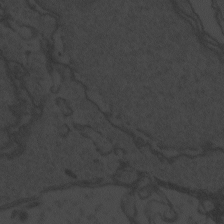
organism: Zebrafish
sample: Macrophage infected with Toxoplasma gondii